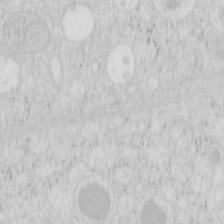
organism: Mouse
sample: Pancreas